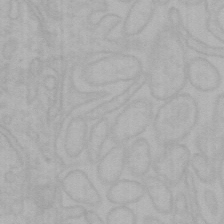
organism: Mouse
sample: Choroid plexus